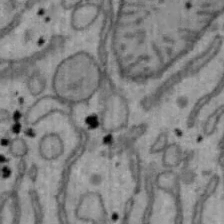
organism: Mouse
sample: Liver